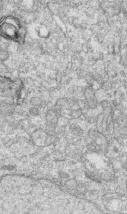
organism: Human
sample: HeLa cell HIV synapse